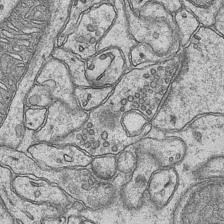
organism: Mouse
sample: CA1 Hippocampus